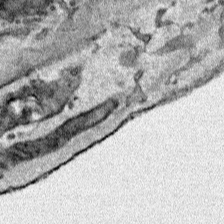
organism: Human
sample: Mitochondria in HCT116 cells